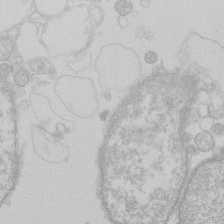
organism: Human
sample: Macrophage cells